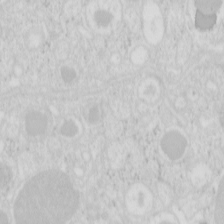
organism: Mouse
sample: Pancreas